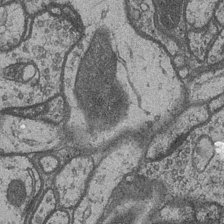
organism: Drosophila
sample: Optic medulla